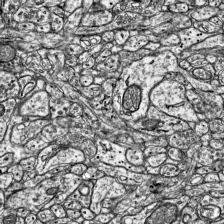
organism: Mouse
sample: Visual Cortex